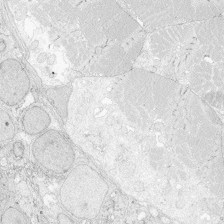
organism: Zebrafish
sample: Whole-Brain